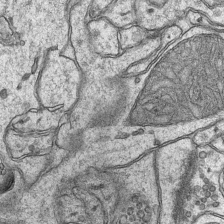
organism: Mouse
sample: CA1 Hippocampus